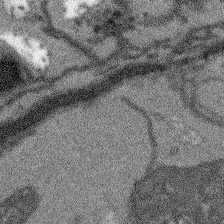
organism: Arabidopsis thaliana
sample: Root tip